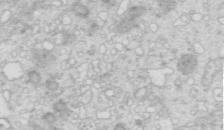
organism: Mouse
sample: Multiciliated cells